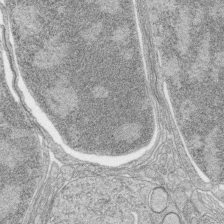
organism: Zebrafish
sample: synaptic ribbons in rod cells and cone cells